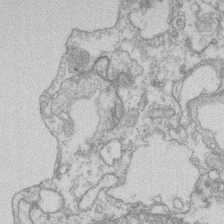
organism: Mouse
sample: T cell stromal cell synapse